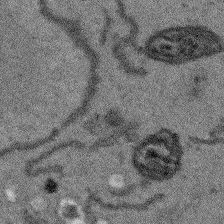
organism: Arabidopsis thaliana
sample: Root tip